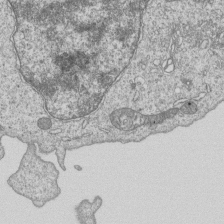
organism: Human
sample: MDA-MB-231 cells